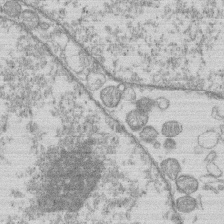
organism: Human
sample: Macrophage cells